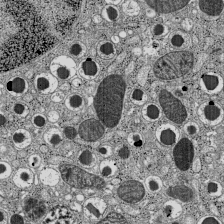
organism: C57BL Mouse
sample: Pancreatic islet